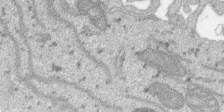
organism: Human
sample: Lung epithelial cells infected with SARS-CoV-2